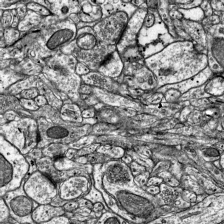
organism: Mouse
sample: Visual Cortex